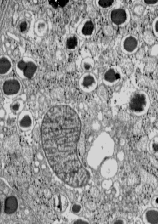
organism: C57BL Mouse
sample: Pancreatic islet